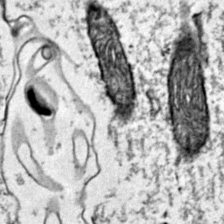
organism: Mouse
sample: Primary visual cortex